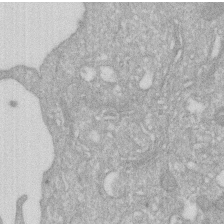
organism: Human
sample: HIV infected U937 cells